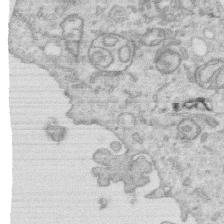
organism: Human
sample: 1205lu cells